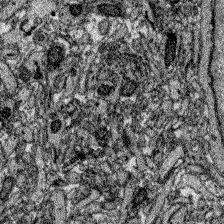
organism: Zebrafish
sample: Larval olfactory bulb